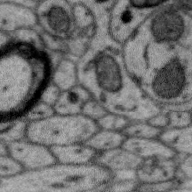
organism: Zebra finch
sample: Brain